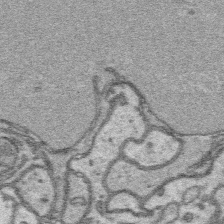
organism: Platynereis dumerilii